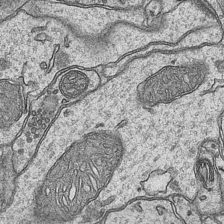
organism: Mouse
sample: CA1 Hippocampus